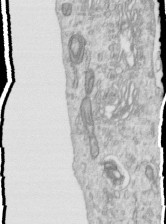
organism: Human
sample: Centriole in RPE cells